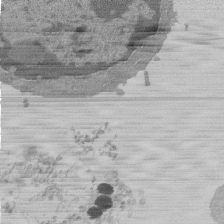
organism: Mouse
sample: Activated Pmel transgenic CD8+ T Cells